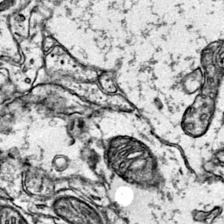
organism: Mouse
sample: Primary visual cortex